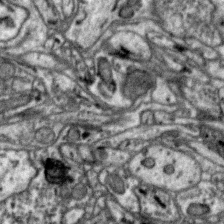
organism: Zebra finch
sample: Brain